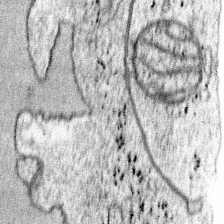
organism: Human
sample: HeLa cells